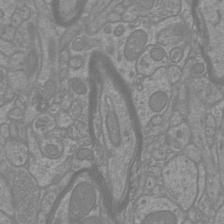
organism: Mouse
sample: Cortical neurons